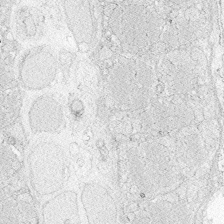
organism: Zebrafish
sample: Whole-Brain